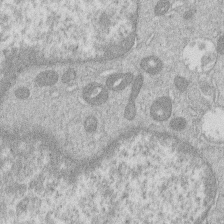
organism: Human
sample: Macrophage cells